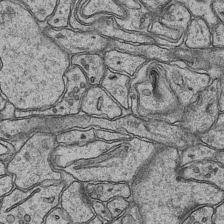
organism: Mouse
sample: CA1 Hippocampus